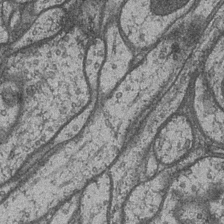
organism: Drosophila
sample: Optic medulla